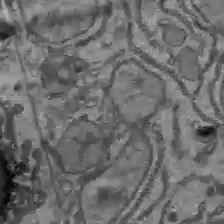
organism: C57BL Mouse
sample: Liver